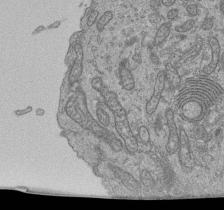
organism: Human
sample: Retinal organoid Rod and Cone cells